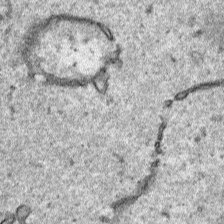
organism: Human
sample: Mitochondria in HCT116 cells